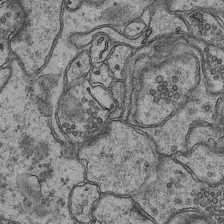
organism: Mouse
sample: CA1 Hippocampus